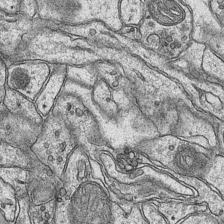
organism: Mouse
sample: CA1 Hippocampus